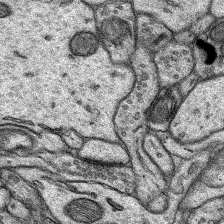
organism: Rat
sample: Hippocampus